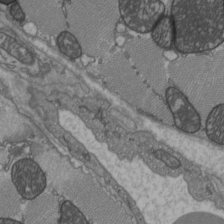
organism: C57BL Mouse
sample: Heart